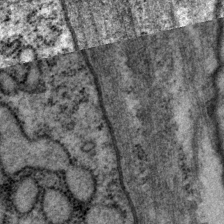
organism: P. pacificus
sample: Pharynx